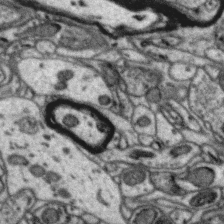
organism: Zebra finch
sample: Brain